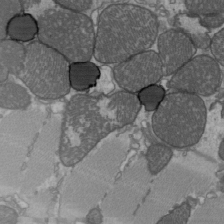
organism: C57BL Mouse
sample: Heart